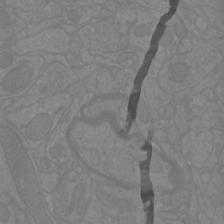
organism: Mouse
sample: Cortical neurons